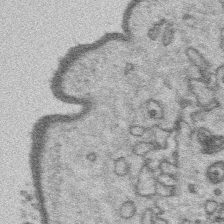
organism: Platynereis dumerilii